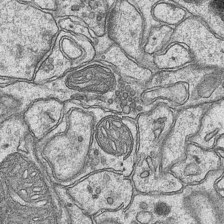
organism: Mouse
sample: CA1 Hippocampus